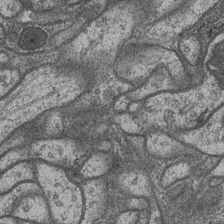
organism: Drosophila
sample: Optic medulla